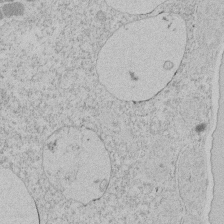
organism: Tetrahymena